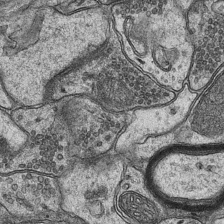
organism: Mouse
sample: CA1 Hippocampus